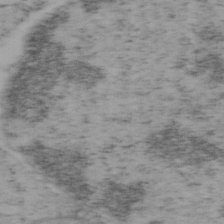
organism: Mouse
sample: OT-I killer T cells with ID8 ovarian cancer cells